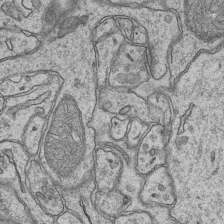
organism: Mouse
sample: CA1 Hippocampus